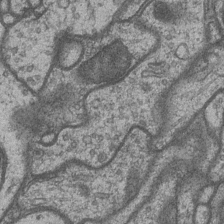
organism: Drosophila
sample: Optic medulla